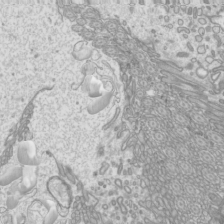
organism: Mouse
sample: Cilia; mouse epididymis